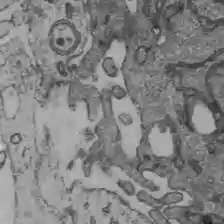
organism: C57BL Mouse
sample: Liver